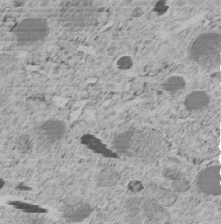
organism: C. elegans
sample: C. elegans embryo early stage